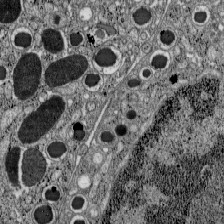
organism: C57BL Mouse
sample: Pancreatic islet